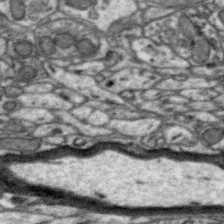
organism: Zebra finch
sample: Brain